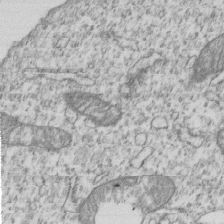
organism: Human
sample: MDA-MB-231 cells